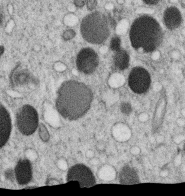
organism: C. elegans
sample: C. elegans oocyte; sperm cells